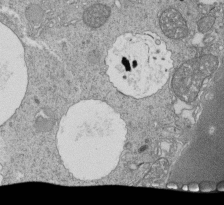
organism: Tetrahymena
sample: Cilia in tetrahymena